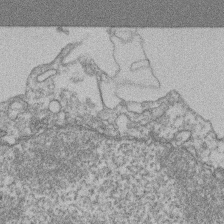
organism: Mouse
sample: T cell stromal cell synapse